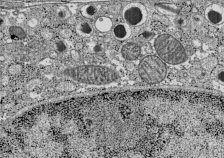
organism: C57BL Mouse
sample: Pancreatic islet